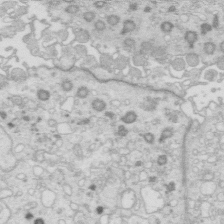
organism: Mouse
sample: Multiciliated cells